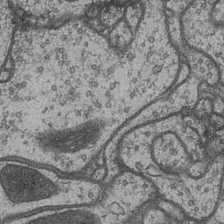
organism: Drosophila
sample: Optic medulla